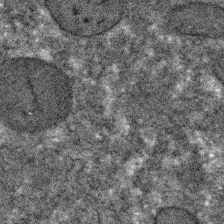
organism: C. elegans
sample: C. elegans embryo